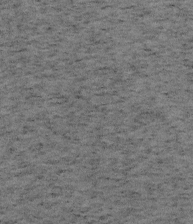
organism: Mouse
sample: OT-I killer T cells with ID8 ovarian cancer cells